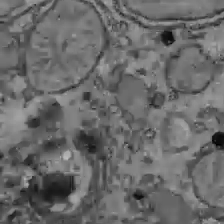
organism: C57BL Mouse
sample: Liver